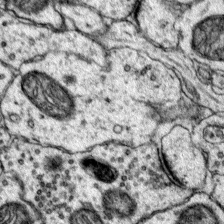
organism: Mouse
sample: Primary visual cortex